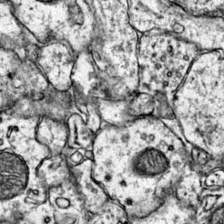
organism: Mouse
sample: Primary visual cortex